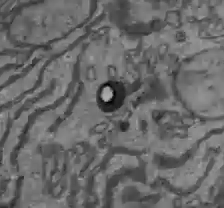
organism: C57BL Mouse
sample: Liver